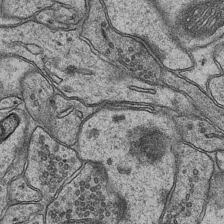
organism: Mouse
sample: CA1 Hippocampus